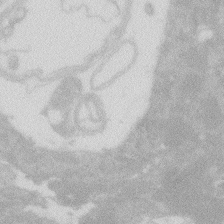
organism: Zebrafish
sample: Macrophage